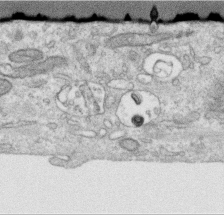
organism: Human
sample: Centriole in RPE cells